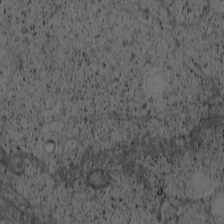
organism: African green monkey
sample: COS-7 cells